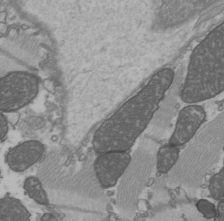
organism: C57BL Mouse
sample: Heart